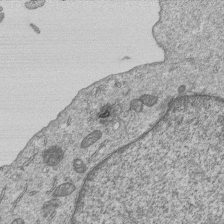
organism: Human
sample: MDA-MB-231 cells